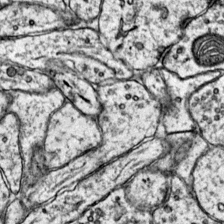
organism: Mouse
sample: Primary visual cortex